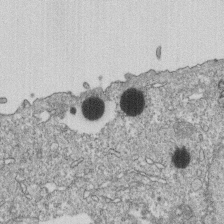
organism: Human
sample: HeLa cell HIV synapse